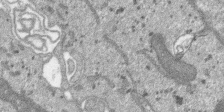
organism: Human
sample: Lung epithelial cells infected with SARS-CoV-2